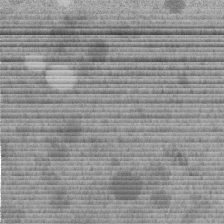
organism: C. elegans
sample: C. elegans embryo early stage